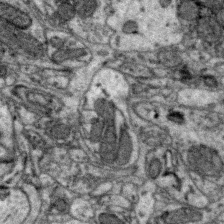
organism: Zebra finch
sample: Brain